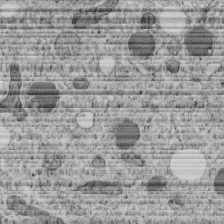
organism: C. elegans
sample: C. elegans embryo early stage